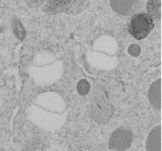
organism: C. elegans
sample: C. elegans embryo early stage